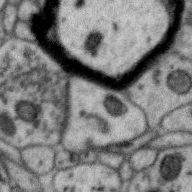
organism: Zebra finch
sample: Brain